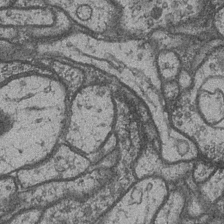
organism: Drosophila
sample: Optic medulla